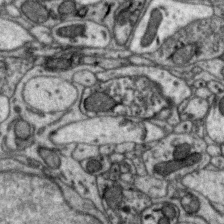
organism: Zebra finch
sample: Brain